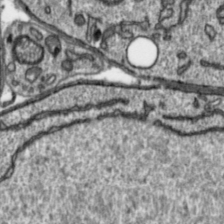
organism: Toxoplasma gondii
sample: Parasites in a vacuole inside a host cell